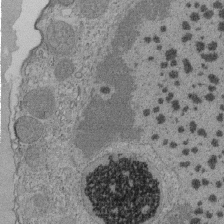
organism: Tetrahymena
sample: Cilia in tetrahymena